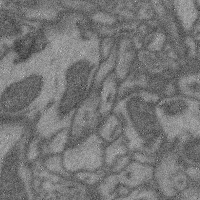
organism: Mouse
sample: Cerebral cortex